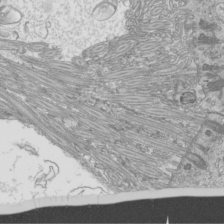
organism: Mouse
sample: Cilia; mouse epididymis